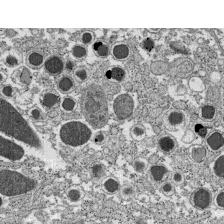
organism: C57BL Mouse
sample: Pancreatic islet